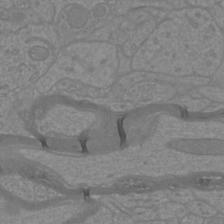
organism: Mouse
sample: Cortical neurons